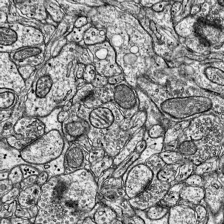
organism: Mouse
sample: Visual Cortex